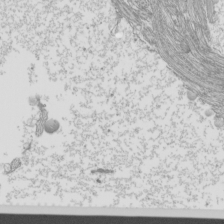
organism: Mouse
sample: Cilia; mouse epididymis